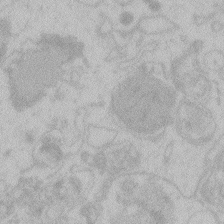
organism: Zebrafish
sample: Macrophage infected with Toxoplasma gondii